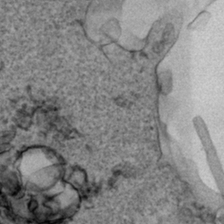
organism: Human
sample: Mitochondria in HCT116 cells